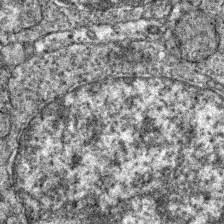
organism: Zebrafish